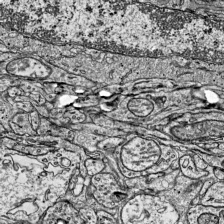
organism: Mouse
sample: Visual Cortex